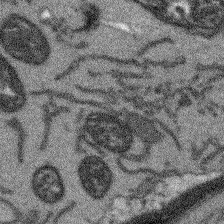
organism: Arabidopsis thaliana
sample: Root tip